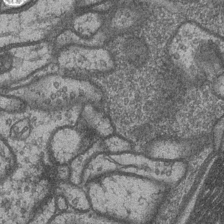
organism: Drosophila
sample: Optic medulla